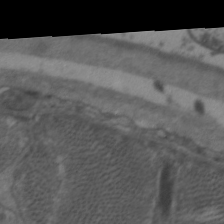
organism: C. elegans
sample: Pharynx